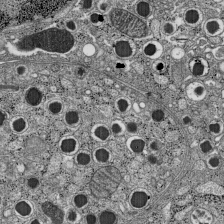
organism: C57BL Mouse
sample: Pancreatic islet